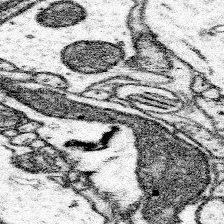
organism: Mouse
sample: Somatosensory cortex neuropil